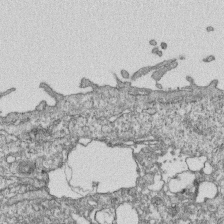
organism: Human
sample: HeLa cell HIV synapse